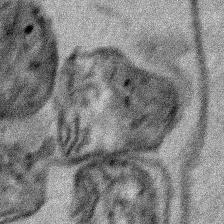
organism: Human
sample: Mitochondria in HCT116 cells